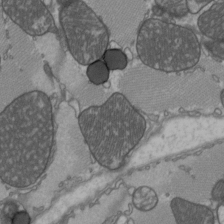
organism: C57BL Mouse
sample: Heart